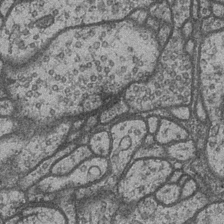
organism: Drosophila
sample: Optic medulla